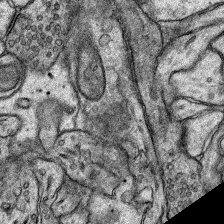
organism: Rat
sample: Hippocampus